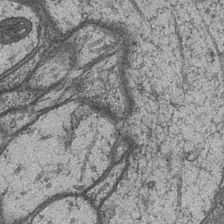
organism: Drosophila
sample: Optic medulla